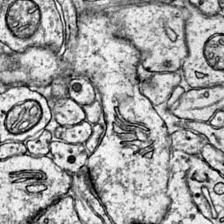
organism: Mouse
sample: Primary visual cortex